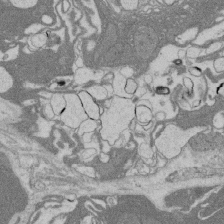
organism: Rat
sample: Salivary granule